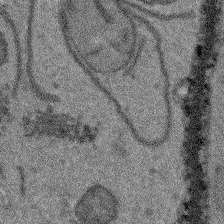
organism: Arabidopsis thaliana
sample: Root tip